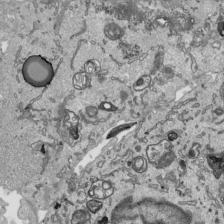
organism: Human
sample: Mitochondria in HCT116 cells